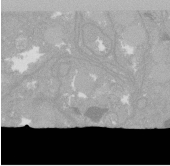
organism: C. elegans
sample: C. elegans oocyte; sperm cells